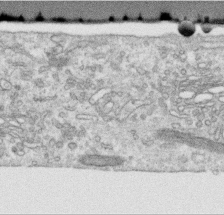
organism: Human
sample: Centriole in RPE cells